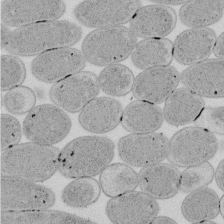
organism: E. coli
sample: Bacterial nucleoid